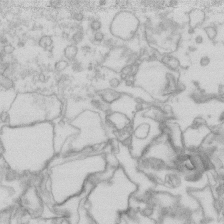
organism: Human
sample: Fibroblast cells